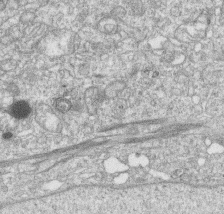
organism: Human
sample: HeLa cell HIV synapse